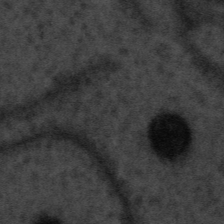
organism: Tuwongella immobilis